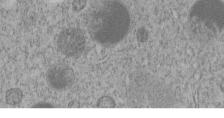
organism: C. elegans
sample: C. elegans embryo early stage